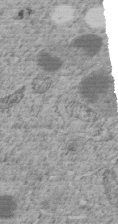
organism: C. elegans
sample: C. elegans embryo early stage